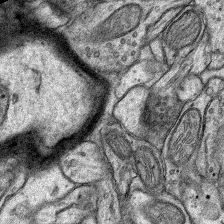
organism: Rat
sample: Hippocampus